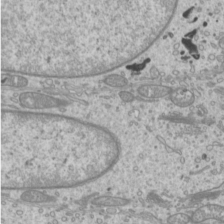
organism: Mouse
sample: Cilia; mouse epididymis